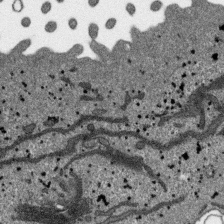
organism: Human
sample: Lung epithelial cells, uninfected (mock) control